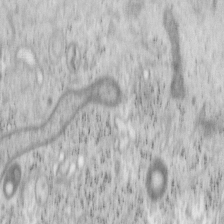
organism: Human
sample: HeLa cells